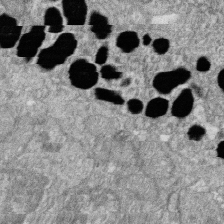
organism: Zebrafish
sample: Cilia; retinal pigment epithelium